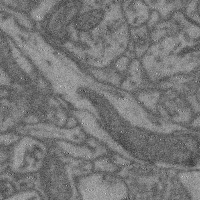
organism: Mouse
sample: Cerebral cortex